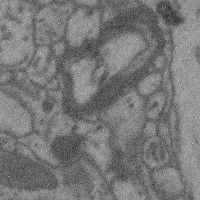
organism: Mouse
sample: Cerebral cortex